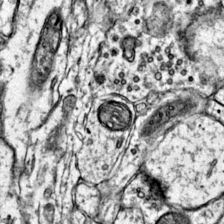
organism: Mouse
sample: Primary visual cortex